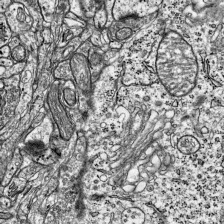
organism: Mouse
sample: Visual Cortex